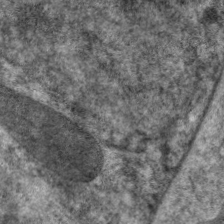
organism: C. elegans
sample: Pharynx